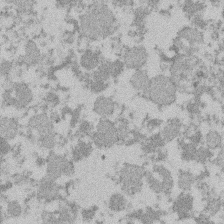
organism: Mouse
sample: Dividing mouse embryo 1 cell stage